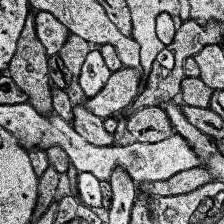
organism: Human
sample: Temporal Lobe